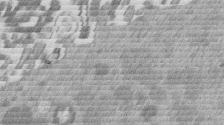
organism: Mouse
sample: Dividing mouse embryo 1 cell stage